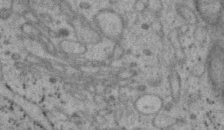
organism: Human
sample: HeLa cells